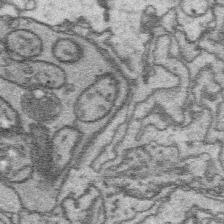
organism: Platynereis dumerilii